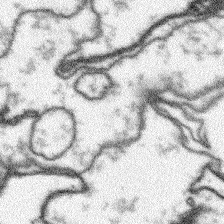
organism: Arabidopsis thaliana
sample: Root tip